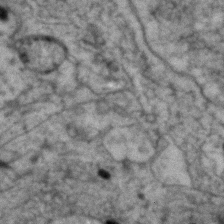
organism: Human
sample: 1205lu cells